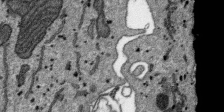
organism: Human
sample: Lung epithelial cells, uninfected (mock) control